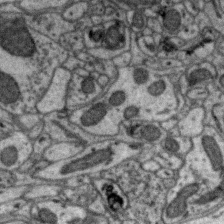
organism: Zebra finch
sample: Brain